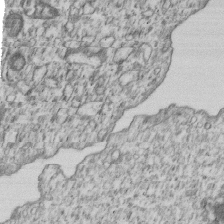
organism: Human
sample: MDA-MB-231 cells